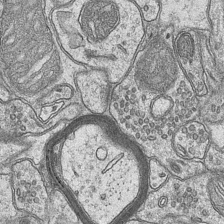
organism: Mouse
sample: CA1 Hippocampus